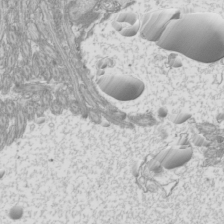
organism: Mouse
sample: Cilia; mouse epididymis